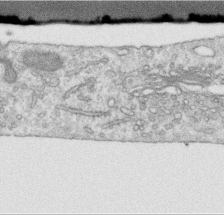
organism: Human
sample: Centriole in RPE cells